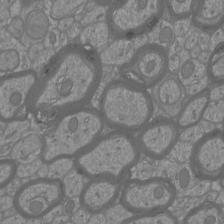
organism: Mouse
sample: Cortical neurons